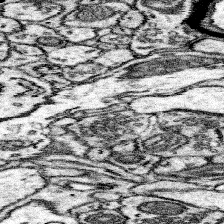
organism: Mouse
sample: Somatosensory cortex neuropil